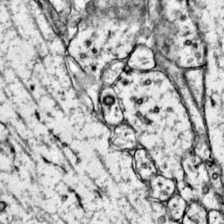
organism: Mouse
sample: Primary visual cortex